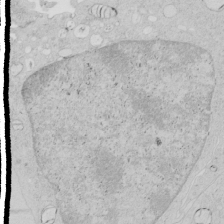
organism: Human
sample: Mitochondria in HCT116 cells